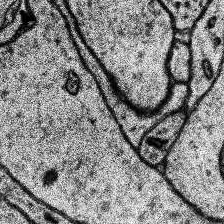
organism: Human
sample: Temporal Lobe